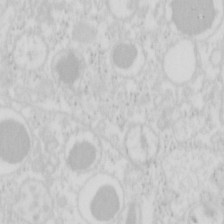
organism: Mouse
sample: Pancreas